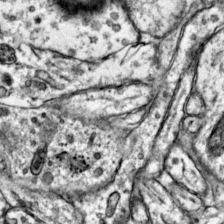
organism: Mouse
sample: Primary visual cortex